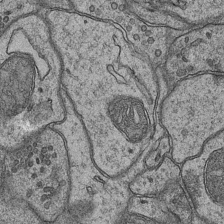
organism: Mouse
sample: CA1 Hippocampus